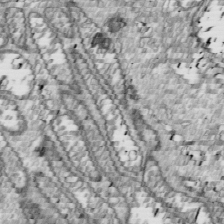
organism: Drosophila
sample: Cell division; meiosis; drosophila spermatocytes